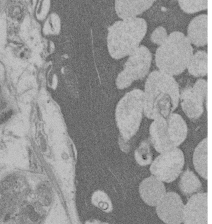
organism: Rat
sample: Salivary granule